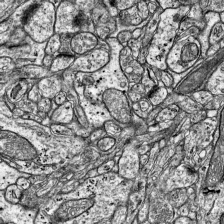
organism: Mouse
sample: Visual Cortex